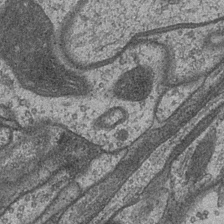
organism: Drosophila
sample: Optic medulla